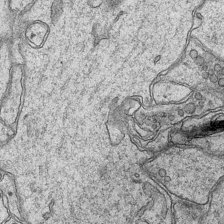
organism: Mouse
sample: CA1 Hippocampus